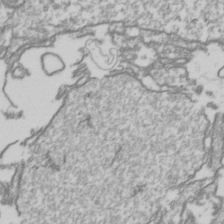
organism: Drosophila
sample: Cell division; meiosis; drosophila spermatocytes